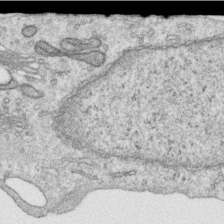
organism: Human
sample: Centriole in RPE cells